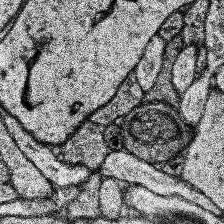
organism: Human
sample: Temporal Lobe